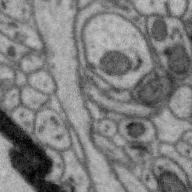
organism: Zebra finch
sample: Brain